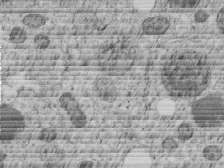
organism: C. elegans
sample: C. elegans embryo early stage